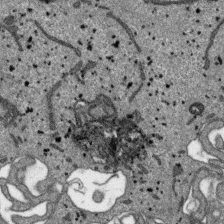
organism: Human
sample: Lung epithelial cells, uninfected (mock) control